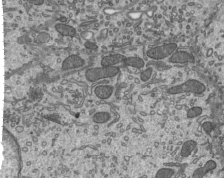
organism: Mouse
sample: Mouse epididymis efferent ductule cilia